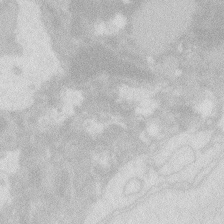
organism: Zebrafish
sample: Macrophage